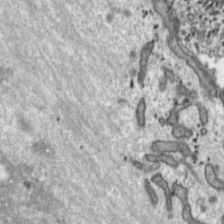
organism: Toxoplasma gondii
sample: Parasites in a vacuole inside a host cell